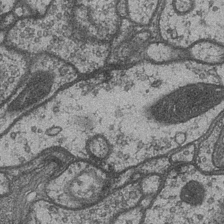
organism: Drosophila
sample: Optic medulla